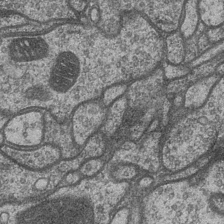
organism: Drosophila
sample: Optic medulla